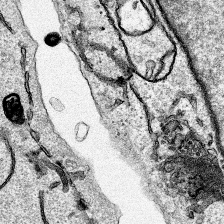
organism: Human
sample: Mitochondria in HCT116 cells